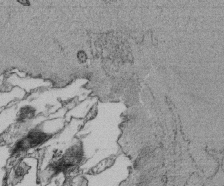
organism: Tetrahymena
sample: Cilia in tetrahymena